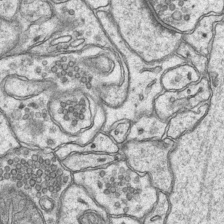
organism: Mouse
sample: CA1 Hippocampus